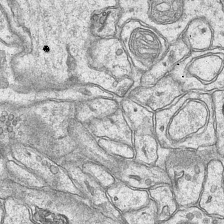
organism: Mouse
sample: CA1 Hippocampus